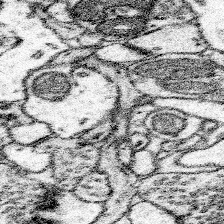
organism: Mouse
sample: Somatosensory cortex neuropil